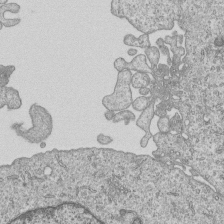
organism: Human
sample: MDA-MB-231 cells